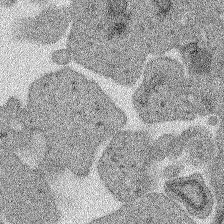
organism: Human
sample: HeLa cells